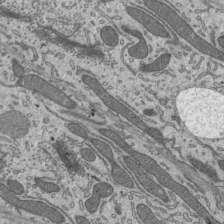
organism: Mouse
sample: Mouse epididymis efferent ductule cilia